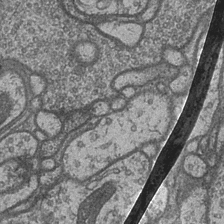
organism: Drosophila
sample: Optic medulla